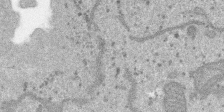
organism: Human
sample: Lung epithelial cells infected with SARS-CoV-2